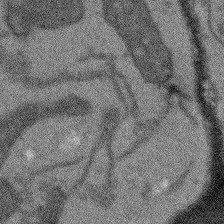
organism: Arabidopsis thaliana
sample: Root tip